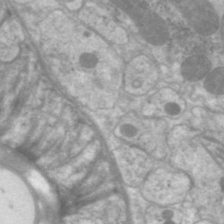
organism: C. elegans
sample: Pharynx